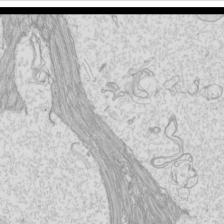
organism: Mouse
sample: Cilia; mouse epididymis